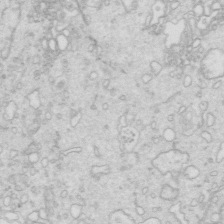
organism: Mouse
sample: Multiciliated cells